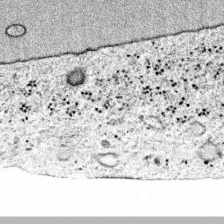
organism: Human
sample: HeLa cells